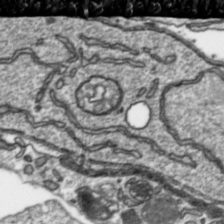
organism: Toxoplasma gondii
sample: Parasites in a vacuole inside a host cell